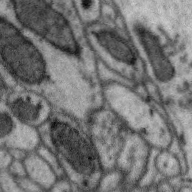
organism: Zebra finch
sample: Brain